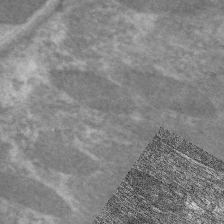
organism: C. elegans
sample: Pharynx